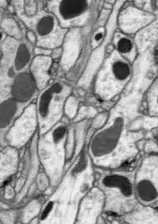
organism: Drosophila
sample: Optic lobe